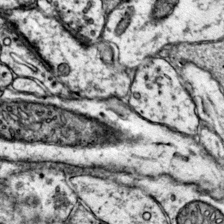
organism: Mouse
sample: Primary visual cortex